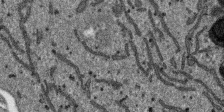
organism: Human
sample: Lung epithelial cells infected with SARS-CoV-2